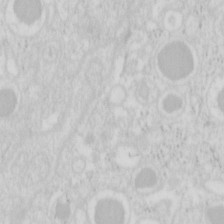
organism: Mouse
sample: Pancreas